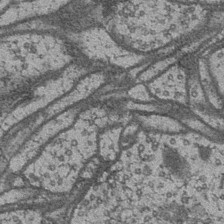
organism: Drosophila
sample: Optic medulla